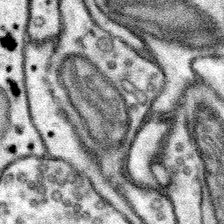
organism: Mouse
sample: Somatosensory cortex neuropil